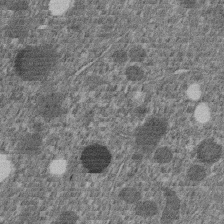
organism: C. elegans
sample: C. elegans embryo early stage